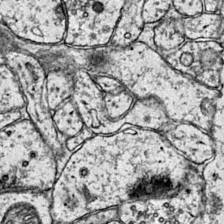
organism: Mouse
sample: Primary visual cortex